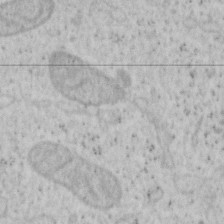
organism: Human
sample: HeLa cells